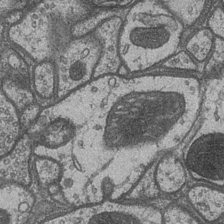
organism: Drosophila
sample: Optic medulla